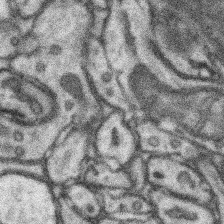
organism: Mouse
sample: Somatosensory cortex neuropil